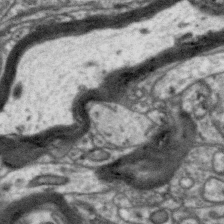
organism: Zebra finch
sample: Brain